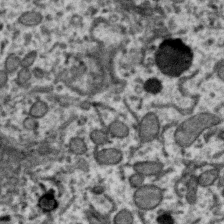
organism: Zebra finch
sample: Brain